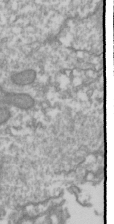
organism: Drosophila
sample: Cell division; meiosis; drosophila spermatocytes